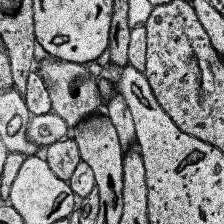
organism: Human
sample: Temporal Lobe